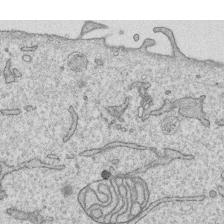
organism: Human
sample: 1205lu cells